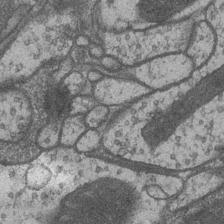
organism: Drosophila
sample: Optic medulla